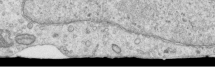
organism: Human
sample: Centriole in RPE cells